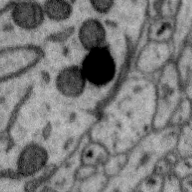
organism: Zebra finch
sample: Brain